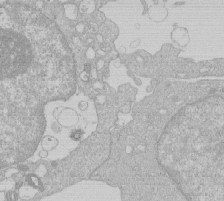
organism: Human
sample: Macrophage cells